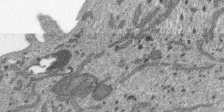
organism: Human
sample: Lung epithelial cells infected with SARS-CoV-2